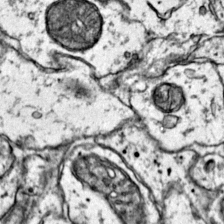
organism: Mouse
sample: Primary visual cortex